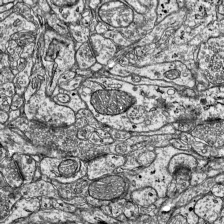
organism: Mouse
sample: Visual Cortex